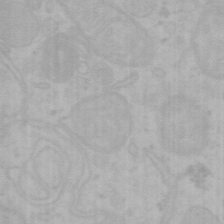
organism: Mouse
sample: Choroid plexus